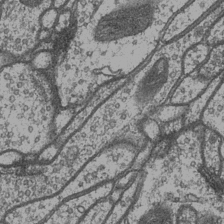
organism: Drosophila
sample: Optic medulla